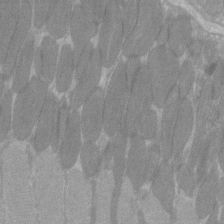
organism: C57BL Mouse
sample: Tibialis anterior muscle cell